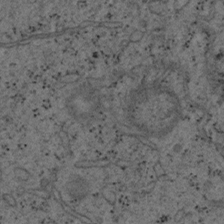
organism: Human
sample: HeLa cells